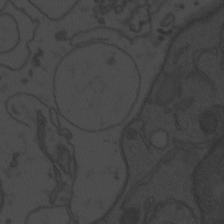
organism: Zebrafish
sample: Macrophage infected with Toxoplasma gondii